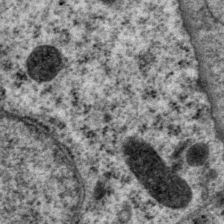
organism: P. pacificus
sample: Pharynx